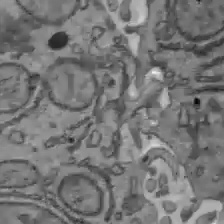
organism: C57BL Mouse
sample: Liver